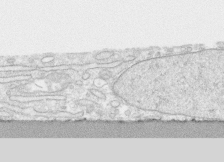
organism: Human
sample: CRL-1474